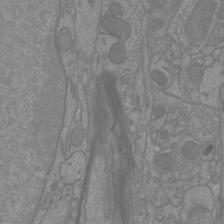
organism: Mouse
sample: Cortical neurons